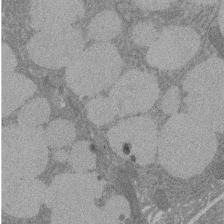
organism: Rat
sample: Salivary granule